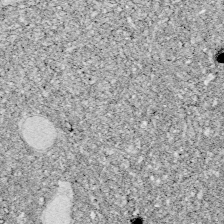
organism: Zebrafish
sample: Whole-Brain